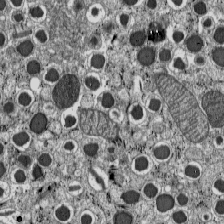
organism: C57BL Mouse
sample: Pancreatic islet